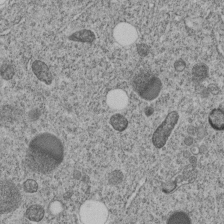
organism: C. elegans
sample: C. elegans embryo early stage